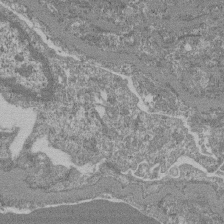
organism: Mouse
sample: Glomerulus